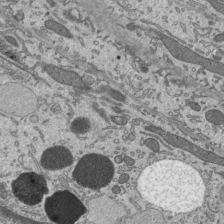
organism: Mouse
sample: Mouse epididymis efferent ductule cilia